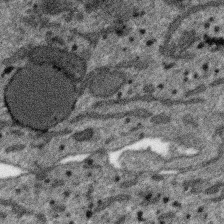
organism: Human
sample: Lung epithelial cells infected with SARS-CoV-2